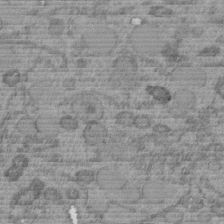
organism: C. elegans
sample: C. elegans embryo early stage